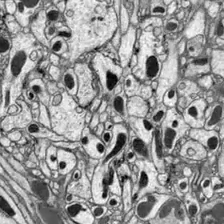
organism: Drosophila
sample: Optic lobe